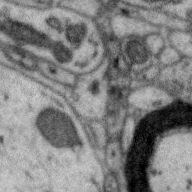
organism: Zebra finch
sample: Brain